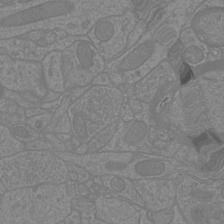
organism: Mouse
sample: Cortical neurons